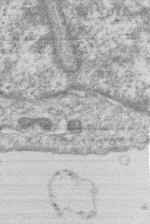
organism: Human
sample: Macrophage cells